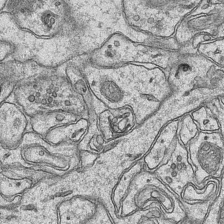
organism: Mouse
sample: CA1 Hippocampus